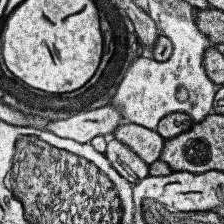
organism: Human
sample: Temporal Lobe